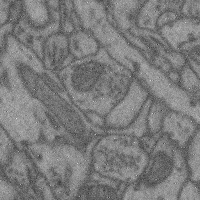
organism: Mouse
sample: Cerebral cortex